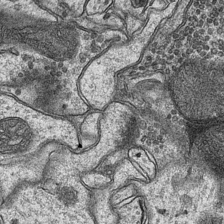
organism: Mouse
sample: CA1 Hippocampus